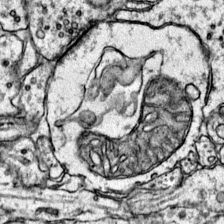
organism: Mouse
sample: Primary visual cortex